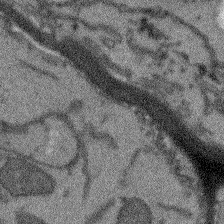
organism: Arabidopsis thaliana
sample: Root tip